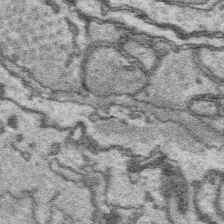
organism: Platynereis dumerilii